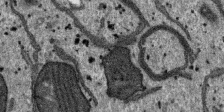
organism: Human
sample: Lung epithelial cells, uninfected (mock) control